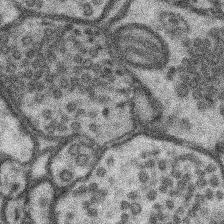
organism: Mouse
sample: Somatosensory cortex neuropil